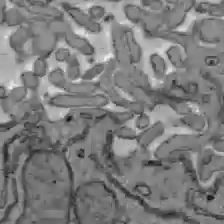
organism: C57BL Mouse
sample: Liver